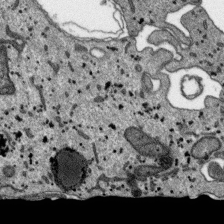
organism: Human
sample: Lung epithelial cells, uninfected (mock) control